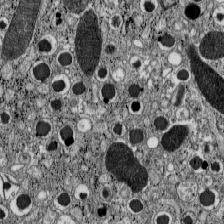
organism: C57BL Mouse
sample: Pancreatic islet